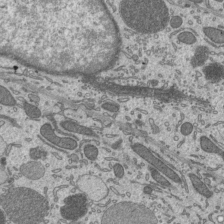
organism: Mouse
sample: Mouse epididymis efferent ductule cilia